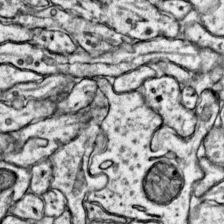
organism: Mouse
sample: Primary visual cortex